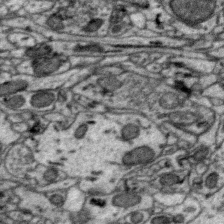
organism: Zebra finch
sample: Brain